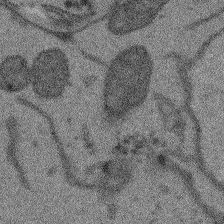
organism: Arabidopsis thaliana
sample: Root tip